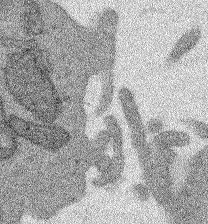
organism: Human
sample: HeLa cells